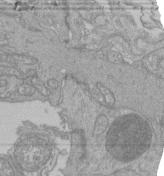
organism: Human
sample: Retinal organoid Rod and Cone cells